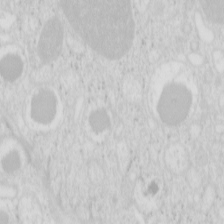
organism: Mouse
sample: Pancreas